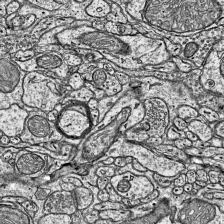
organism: Mouse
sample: Visual Cortex